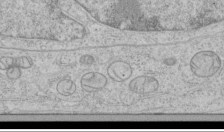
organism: Human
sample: Mitochondria in HCT116 cells